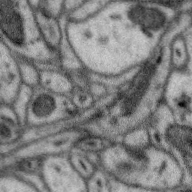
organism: Zebra finch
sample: Brain